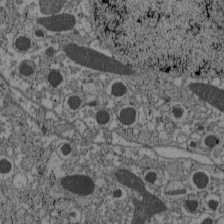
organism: C57BL Mouse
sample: Pancreatic islet